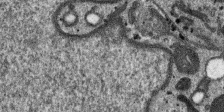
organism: Human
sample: Lung epithelial cells infected with SARS-CoV-2